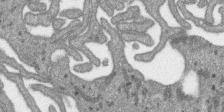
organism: Human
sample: Lung epithelial cells infected with SARS-CoV-2